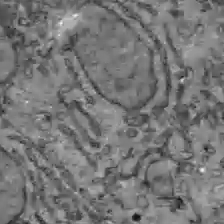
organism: C57BL Mouse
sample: Liver